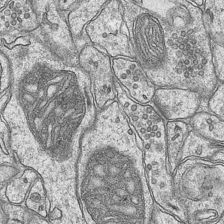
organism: Mouse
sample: CA1 Hippocampus